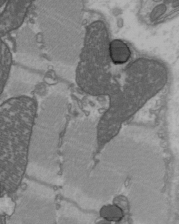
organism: C57BL Mouse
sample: Heart